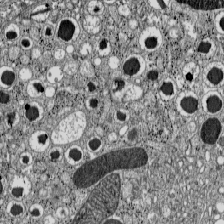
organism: C57BL Mouse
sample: Pancreatic islet